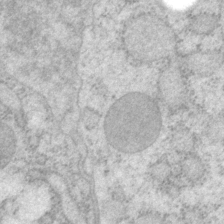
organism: P. pacificus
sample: Pharynx